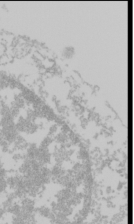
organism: Mouse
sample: Cancer cell death in ED-1 cells